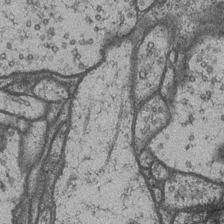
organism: Drosophila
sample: Optic medulla